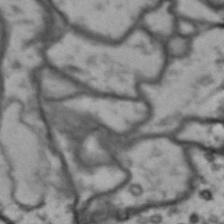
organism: Drosophila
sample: Brain